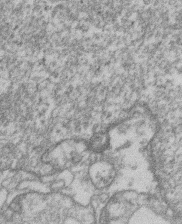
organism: Mouse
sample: T cell stromal cell synapse